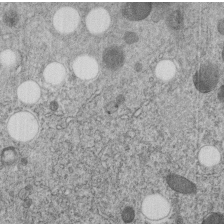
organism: C. elegans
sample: C. elegans embryo early stage